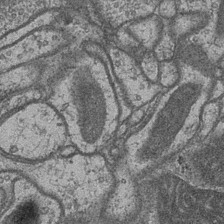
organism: Drosophila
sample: Optic medulla